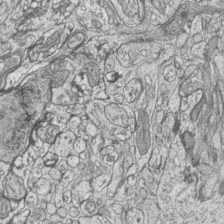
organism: Zebrafish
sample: synaptic ribbons in rod cells and cone cells